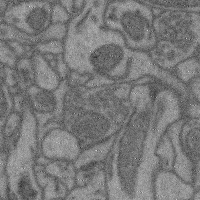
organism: Mouse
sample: Cerebral cortex